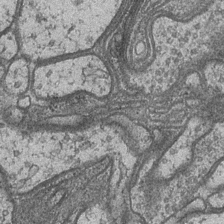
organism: Drosophila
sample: Optic medulla